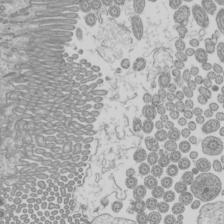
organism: Mouse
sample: Cilia; mouse epididymis